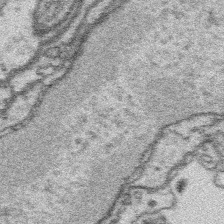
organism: Platynereis dumerilii